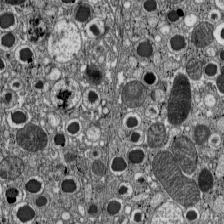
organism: C57BL Mouse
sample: Pancreatic islet